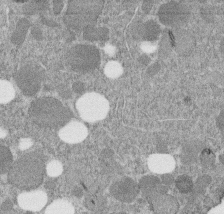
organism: C. elegans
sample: C. elegans embryo early stage